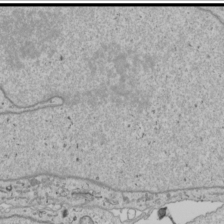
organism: Human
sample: Mitochondria in U2OS cells